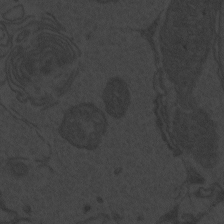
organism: Zebrafish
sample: Macrophage infected with Toxoplasma gondii